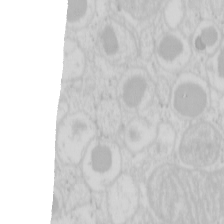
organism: Mouse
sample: Pancreas